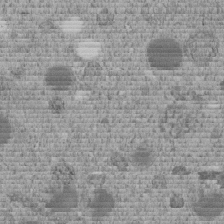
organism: C. elegans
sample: C. elegans embryo early stage